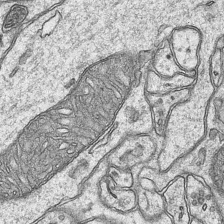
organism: Mouse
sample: CA1 Hippocampus